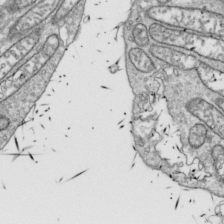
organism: Drosophila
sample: Cell division; meiosis; drosophila spermatocytes